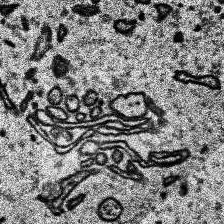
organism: Human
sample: Temporal Lobe